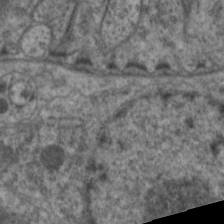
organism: C. elegans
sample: Pharynx